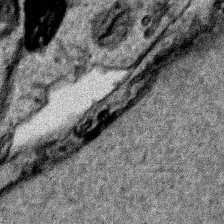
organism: Human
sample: Mitochondria in HCT116 cells